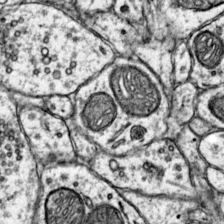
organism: Mouse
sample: Primary visual cortex